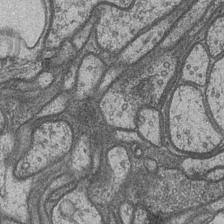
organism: Drosophila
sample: Optic medulla